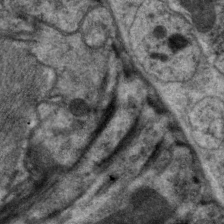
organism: C. elegans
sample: Pharynx